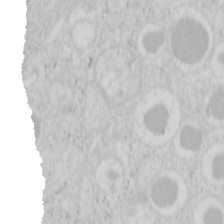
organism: Mouse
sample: Pancreas